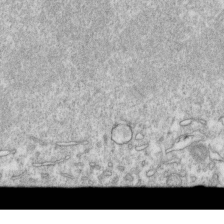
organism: Mouse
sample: Activated OT-1 CD8+ T cells